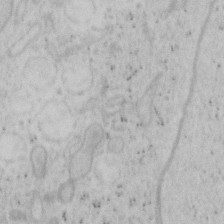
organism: Human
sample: HeLa cells